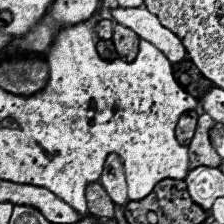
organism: Human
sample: Temporal Lobe